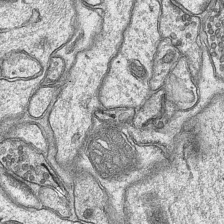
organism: Mouse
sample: CA1 Hippocampus